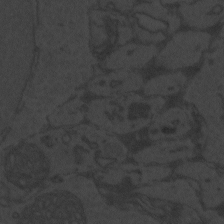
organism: Zebrafish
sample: Macrophage infected with Toxoplasma gondii